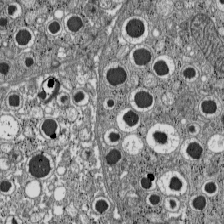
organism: C57BL Mouse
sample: Pancreatic islet